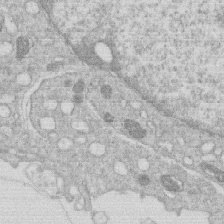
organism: Human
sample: Macrophage cells